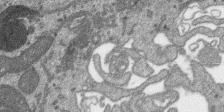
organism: Human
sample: Lung epithelial cells infected with SARS-CoV-2